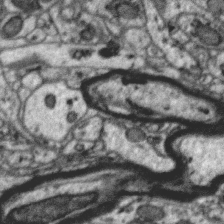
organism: Zebra finch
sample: Brain